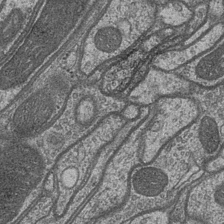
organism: Drosophila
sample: Optic medulla